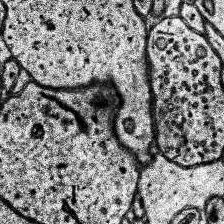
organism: Human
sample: Temporal Lobe